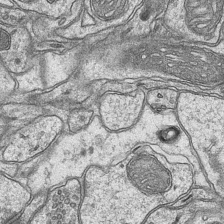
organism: Mouse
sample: CA1 Hippocampus